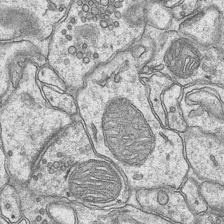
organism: Mouse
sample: CA1 Hippocampus